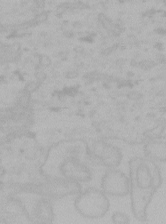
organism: Mouse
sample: Choroid plexus